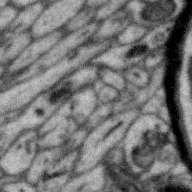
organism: Zebra finch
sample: Brain